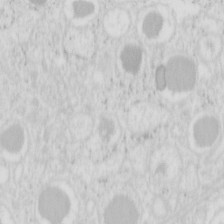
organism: Mouse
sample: Pancreas